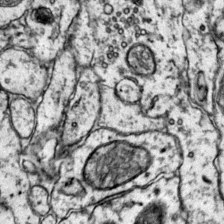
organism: Mouse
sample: Primary visual cortex